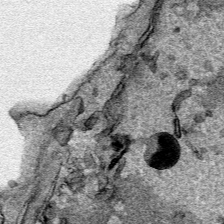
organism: Human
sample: Mitochondria in HCT116 cells